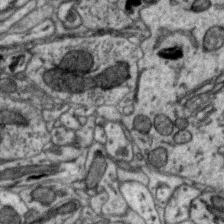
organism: Zebra finch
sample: Brain